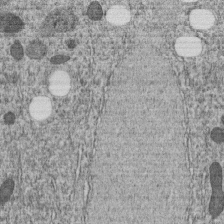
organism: C. elegans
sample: C. elegans embryo early stage